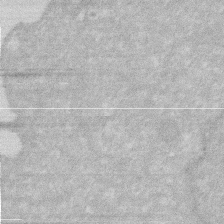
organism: Human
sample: HIV infected U937 cells